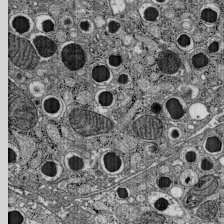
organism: C57BL Mouse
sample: Pancreatic islet